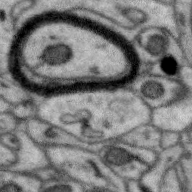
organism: Zebra finch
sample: Brain